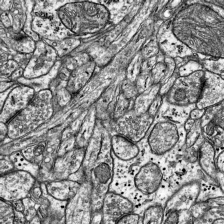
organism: Mouse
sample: Visual Cortex